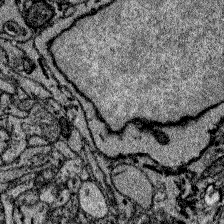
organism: Zebrafish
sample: Larval olfactory bulb